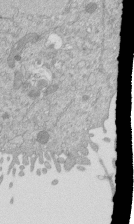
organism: Mouse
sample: ED-1 cell nuclei; centrioles